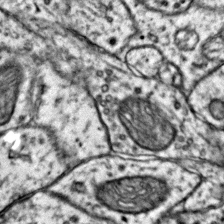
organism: Mouse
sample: Primary visual cortex